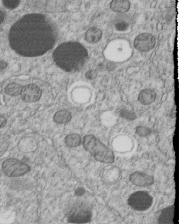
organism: C. elegans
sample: C. elegans embryo early stage